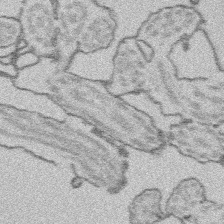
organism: Platynereis dumerilii